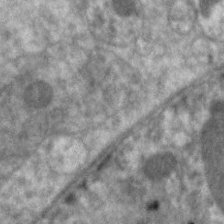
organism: C. elegans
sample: Pharynx